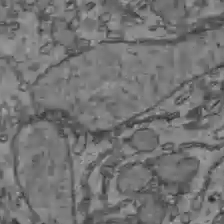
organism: C57BL Mouse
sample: Liver